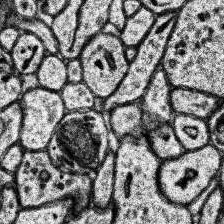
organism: Human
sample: Temporal Lobe